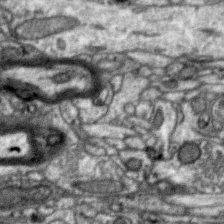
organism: Zebra finch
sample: Brain